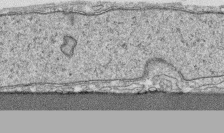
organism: Human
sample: CRL-1474